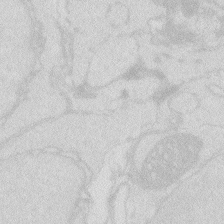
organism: Zebrafish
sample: Macrophage